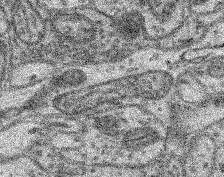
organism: Mouse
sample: Retina